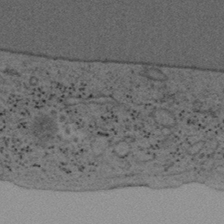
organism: Human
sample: HeLa cells